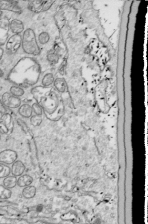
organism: Drosophila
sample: Cell division; meiosis; drosophila spermatocytes